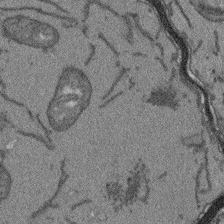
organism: Arabidopsis thaliana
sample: Root tip